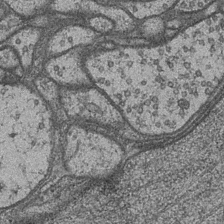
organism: Drosophila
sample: Optic medulla